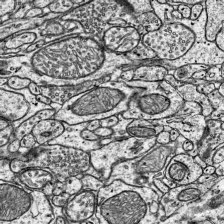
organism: Mouse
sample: Visual Cortex